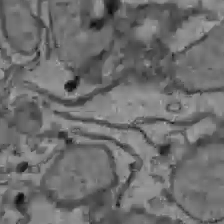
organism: C57BL Mouse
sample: Liver